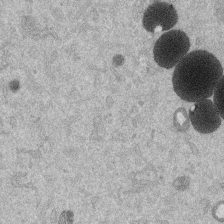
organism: Mouse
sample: Dividing mouse embryo 1 cell stage